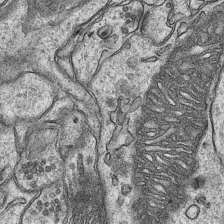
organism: Mouse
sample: CA1 Hippocampus